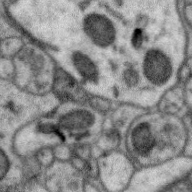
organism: Zebra finch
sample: Brain